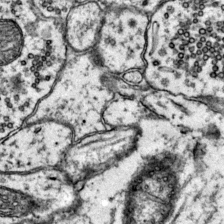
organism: Mouse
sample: Primary visual cortex